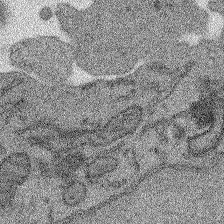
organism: Human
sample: HeLa cells